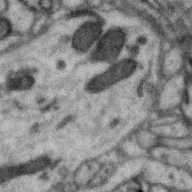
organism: Zebra finch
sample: Brain